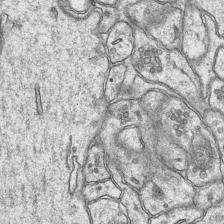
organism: Mouse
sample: CA1 Hippocampus